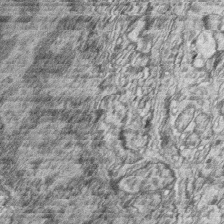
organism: Zebrafish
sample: synaptic ribbons in rod cells and cone cells